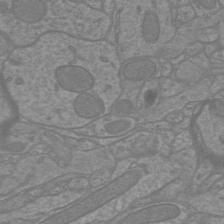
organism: Mouse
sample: Cortical neurons